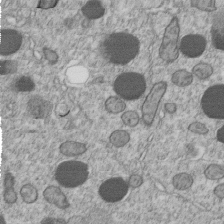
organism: C. elegans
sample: C. elegans embryo early stage